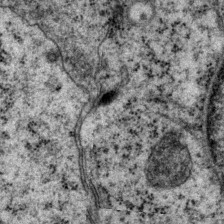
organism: P. pacificus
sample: Pharynx